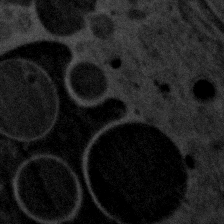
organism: Zebrafish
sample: Zebrafish embryo